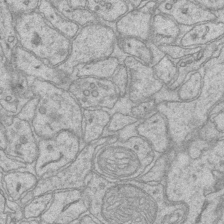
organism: Mouse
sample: CA1 Hippocampus